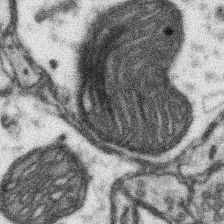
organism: Mouse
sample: Somatosensory cortex neuropil